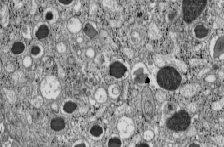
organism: C57BL Mouse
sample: Pancreatic islet